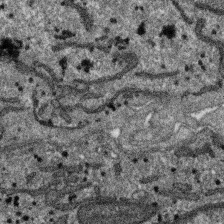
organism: Human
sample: Lung epithelial cells infected with SARS-CoV-2